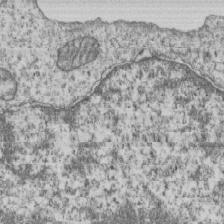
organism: Human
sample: MDA-MB-231 cells